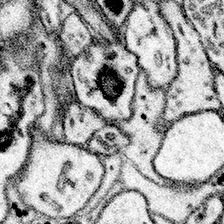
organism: Mouse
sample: Somatosensory cortex neuropil